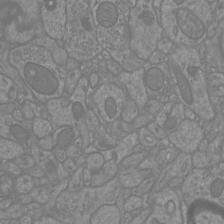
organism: Mouse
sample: Cortical neurons